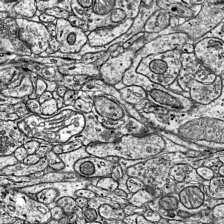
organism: Mouse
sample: Visual Cortex